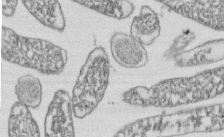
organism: E. coli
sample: Bacterial nucleoid